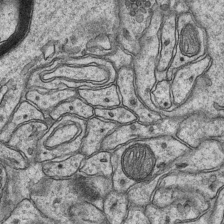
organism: Mouse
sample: CA1 Hippocampus